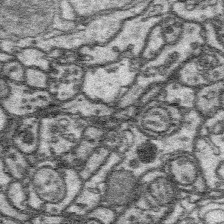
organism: Platynereis dumerilii